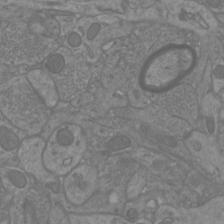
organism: Mouse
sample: Cortical neurons